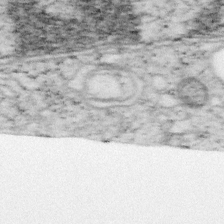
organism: Mouse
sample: OT-I killer T cells with ID8 ovarian cancer cells